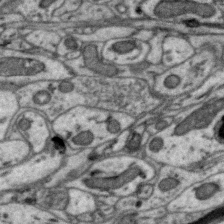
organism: Zebra finch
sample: Brain